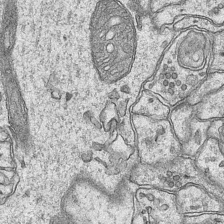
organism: Mouse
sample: CA1 Hippocampus